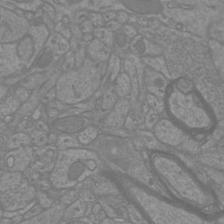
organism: Mouse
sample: Cortical neurons